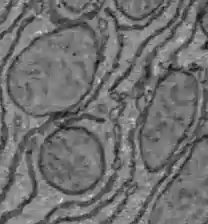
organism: C57BL Mouse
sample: Liver